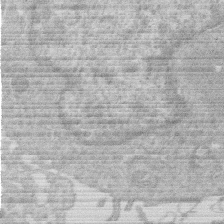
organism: Human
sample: Macrophage cells